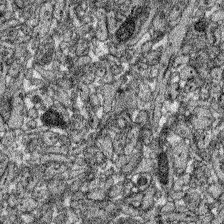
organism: Zebrafish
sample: Larval olfactory bulb